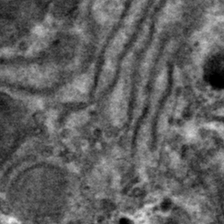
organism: Mouse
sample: Mouse hepatocytes